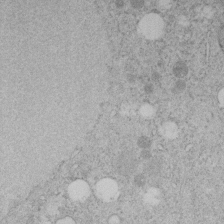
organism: C. elegans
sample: C. elegans embryo early stage